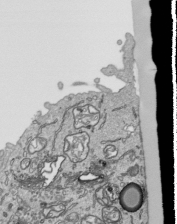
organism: Human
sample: Mitochondria in HCT116 cells